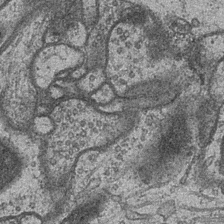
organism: Drosophila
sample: Optic medulla